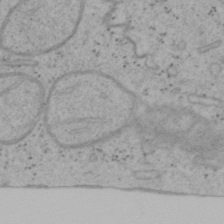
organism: Human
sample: HeLa cells